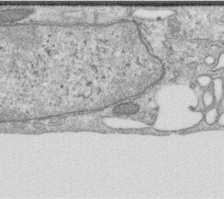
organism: Human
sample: Centriole in RPE cells